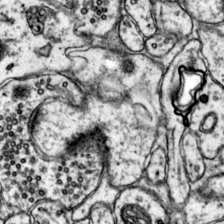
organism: Mouse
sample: Primary visual cortex